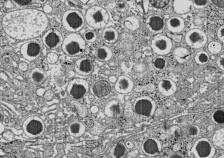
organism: C57BL Mouse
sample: Pancreatic islet